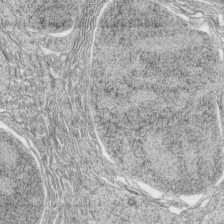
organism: Zebrafish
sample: synaptic ribbons in rod cells and cone cells